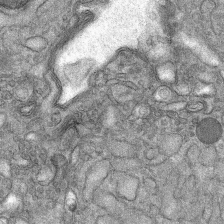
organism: Mouse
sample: Mouse Salivary gland